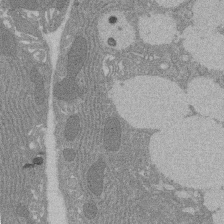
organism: Rat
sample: Salivary granule